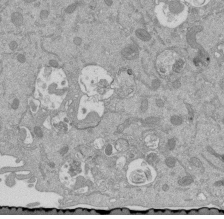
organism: Mouse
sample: ED-1 cell nuclei; centrioles